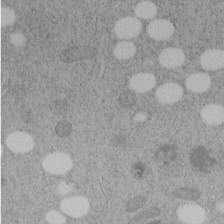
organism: C. elegans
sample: C. elegans embryo early stage